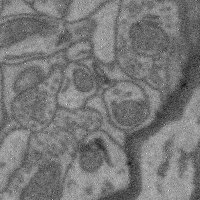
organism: Mouse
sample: Cerebral cortex